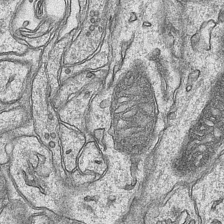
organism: Mouse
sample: CA1 Hippocampus